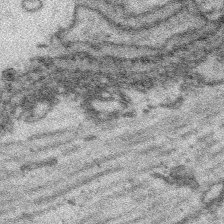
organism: Platynereis dumerilii